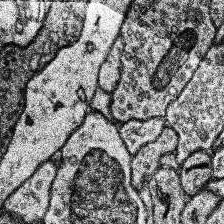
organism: Human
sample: Temporal Lobe